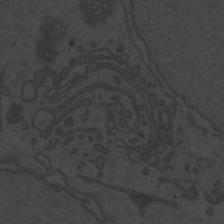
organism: Zebrafish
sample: Macrophage infected with Toxoplasma gondii